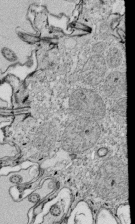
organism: Tetrahymena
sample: Cilia in tetrahymena